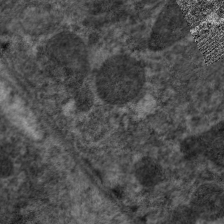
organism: C. elegans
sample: Pharynx